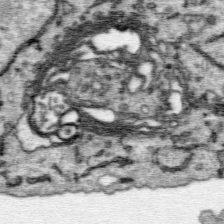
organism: Human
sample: HeLa cells